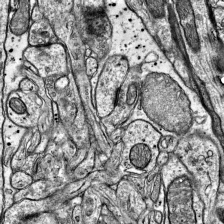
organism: Mouse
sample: Visual Cortex